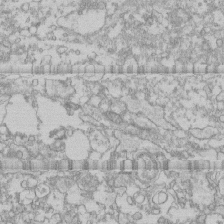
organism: Human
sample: CRL-1474